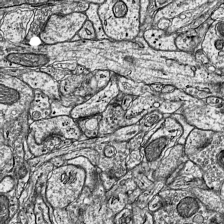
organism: Mouse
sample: Visual Cortex